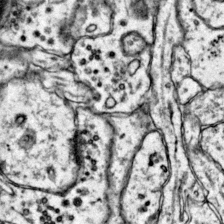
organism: Mouse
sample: Primary visual cortex